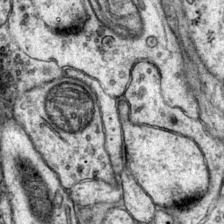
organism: Mouse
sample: Primary visual cortex